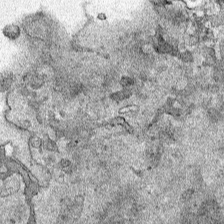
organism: Human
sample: Mitochondria in HCT116 cells